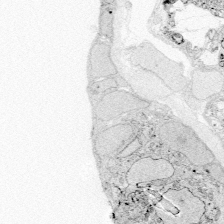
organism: Zebrafish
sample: Whole-Brain